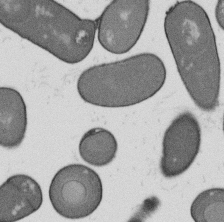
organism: B. subtilis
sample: Bacterial spore